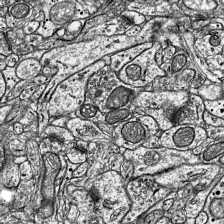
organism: Mouse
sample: Visual Cortex